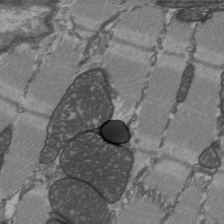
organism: C57BL Mouse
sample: Heart